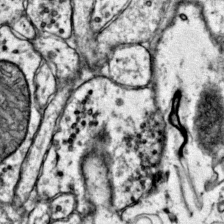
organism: Mouse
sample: Primary visual cortex